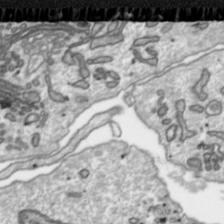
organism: Toxoplasma gondii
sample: Parasites in a vacuole inside a host cell